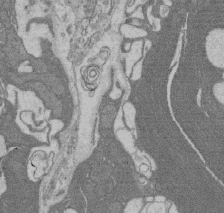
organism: Rat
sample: Salivary granule